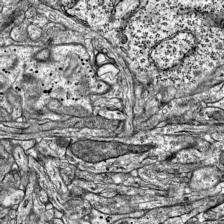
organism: Mouse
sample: Visual Cortex